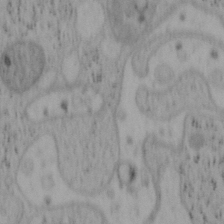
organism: Mouse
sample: OT-I killer T cells with ID8 ovarian cancer cells